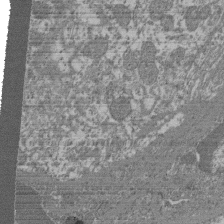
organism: Mouse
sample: Glomerulus